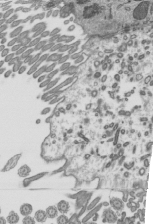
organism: Mouse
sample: Mouse epididymis efferent ductule cilia